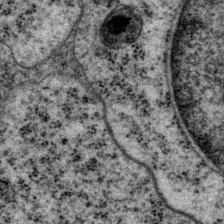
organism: P. pacificus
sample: Pharynx